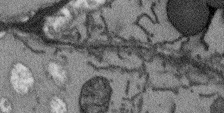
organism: Arabidopsis thaliana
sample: Root tip